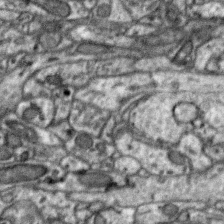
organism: Zebra finch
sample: Brain